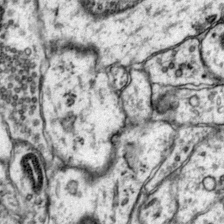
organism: Mouse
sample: Primary visual cortex